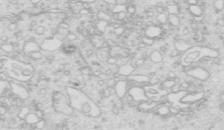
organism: Mouse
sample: Multiciliated cells